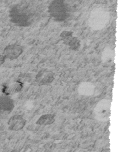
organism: C. elegans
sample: C. elegans embryo early stage